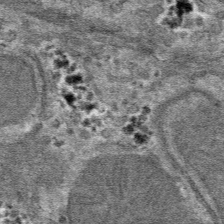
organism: Mouse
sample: Mouse hepatocytes